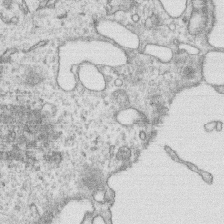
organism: Human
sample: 1205lu cells